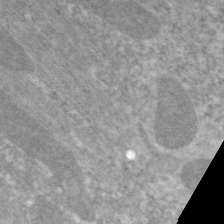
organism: C. elegans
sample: Pharynx